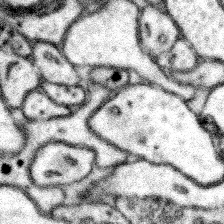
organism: Mouse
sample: Somatosensory cortex neuropil